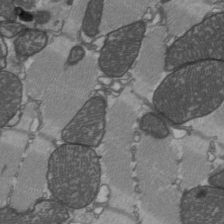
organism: C57BL Mouse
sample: Heart